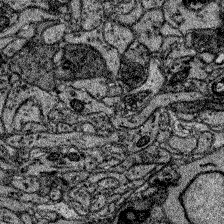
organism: Zebrafish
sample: Larval olfactory bulb